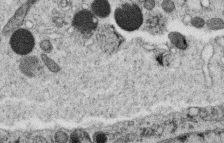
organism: C. elegans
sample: C. elegans oocyte; sperm cells